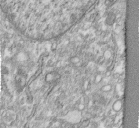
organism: Human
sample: Centriole in fibroblast cells